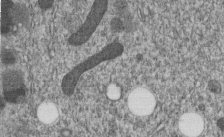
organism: C. elegans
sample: C. elegans embryo early stage